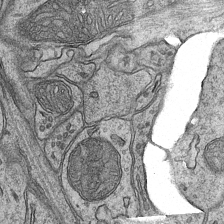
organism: Mouse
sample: CA1 Hippocampus